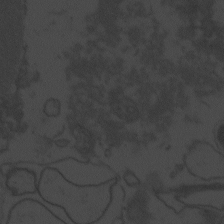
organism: Zebrafish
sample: Macrophage infected with Toxoplasma gondii